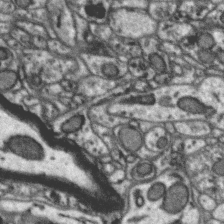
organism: Zebra finch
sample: Brain